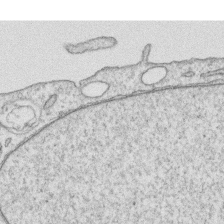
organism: Human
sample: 1205lu cells